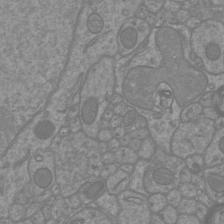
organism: Mouse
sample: Cortical neurons